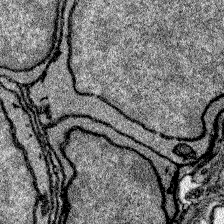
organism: Zebrafish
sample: Larval olfactory bulb